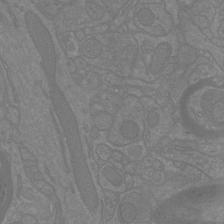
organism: Mouse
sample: Cortical neurons